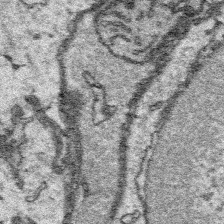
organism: Platynereis dumerilii